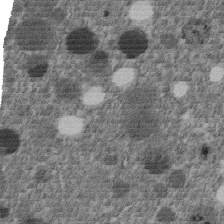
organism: C. elegans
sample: C. elegans embryo early stage